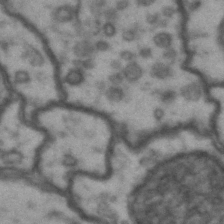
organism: Drosophila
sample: Brain